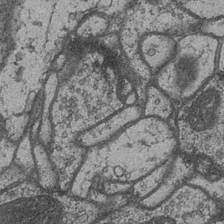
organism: Drosophila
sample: Optic medulla